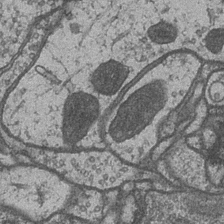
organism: Drosophila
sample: Optic medulla